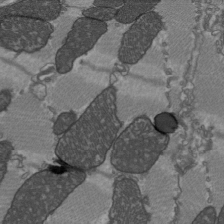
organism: C57BL Mouse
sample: Heart